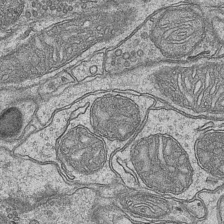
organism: Mouse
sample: CA1 Hippocampus